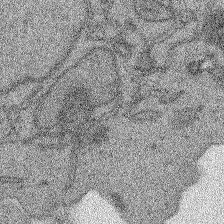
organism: Human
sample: HeLa cells